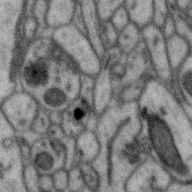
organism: Zebra finch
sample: Brain